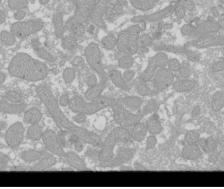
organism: Xenopus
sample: Cilia; centrioles in frog embryo cells